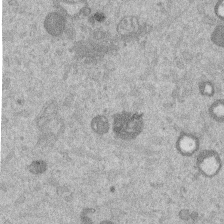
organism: Mouse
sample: Dividing mouse embryo 1 cell stage